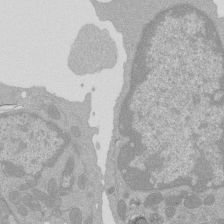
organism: Mouse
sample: Activated Pmel transgenic CD8+ T Cells